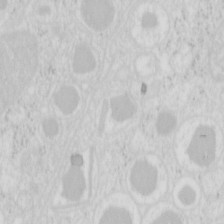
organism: Mouse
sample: Pancreas